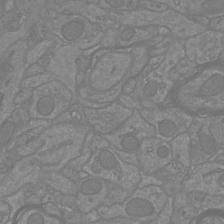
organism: Mouse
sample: Cortical neurons